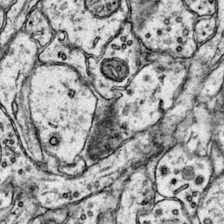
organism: Mouse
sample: Primary visual cortex